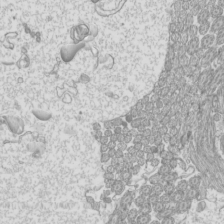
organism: Mouse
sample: Cilia; mouse epididymis